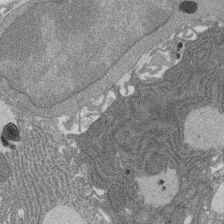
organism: Rat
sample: Salivary granule